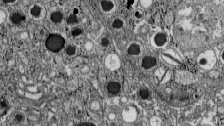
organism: C57BL Mouse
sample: Pancreatic islet